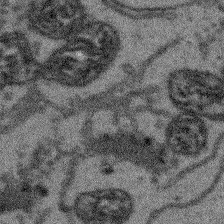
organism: Arabidopsis thaliana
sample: Root tip